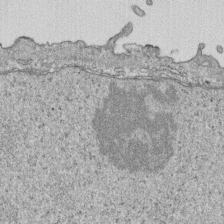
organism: Human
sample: HeLa cell HIV synapse